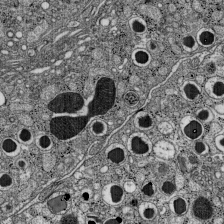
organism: C57BL Mouse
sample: Pancreatic islet